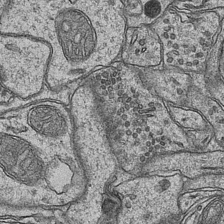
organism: Mouse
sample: CA1 Hippocampus